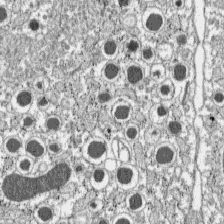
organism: C57BL Mouse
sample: Pancreatic islet